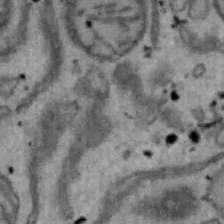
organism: Mouse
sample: Liver